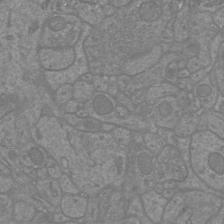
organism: Mouse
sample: Cortical neurons